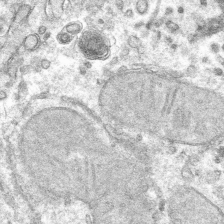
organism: Mouse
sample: Mouse hepatocytes